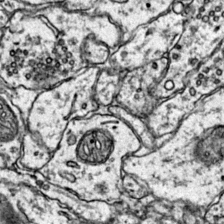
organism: Mouse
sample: Primary visual cortex